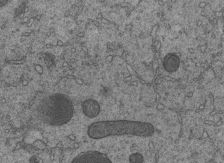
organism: C. elegans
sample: C. elegans embryo early stage